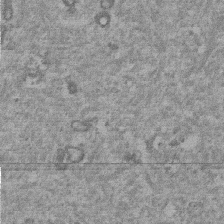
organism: Mouse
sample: Dividing mouse embryo 1 cell stage